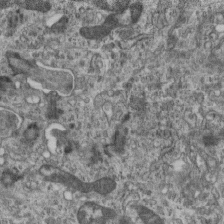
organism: Mouse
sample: Centriole in ependymal cells